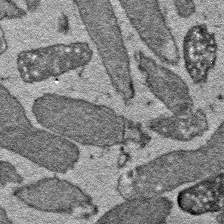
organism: E. coli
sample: E. Coli Bacteria